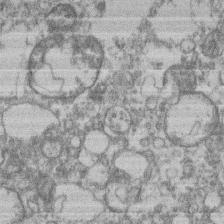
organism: Mouse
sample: T cell stromal cell synapse